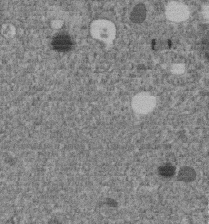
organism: C. elegans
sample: C. elegans embryo early stage